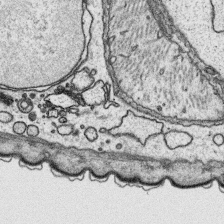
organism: Platynereis dumerilii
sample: Parapodia